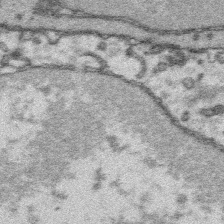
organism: Platynereis dumerilii